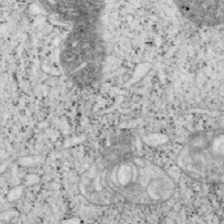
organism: Mouse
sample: OT-I killer T cells with ID8 ovarian cancer cells